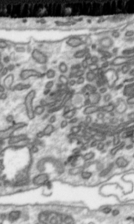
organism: Toxoplasma gondii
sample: Parasites in a vacuole inside a host cell